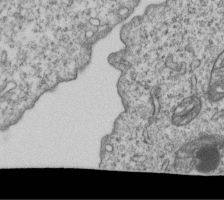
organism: Human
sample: MDA-MB-231 cells